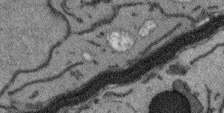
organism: Arabidopsis thaliana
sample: Root tip